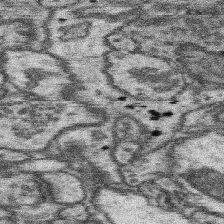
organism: Mouse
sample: Somatosensory cortex neuropil